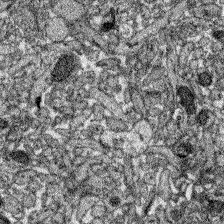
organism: Zebrafish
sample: Larval olfactory bulb